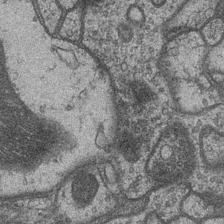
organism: Drosophila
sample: Optic medulla